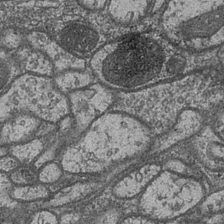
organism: Drosophila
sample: Optic medulla